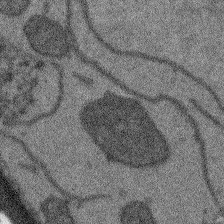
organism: Arabidopsis thaliana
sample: Root tip